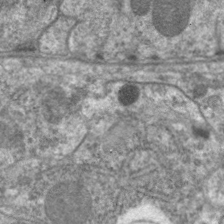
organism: C. elegans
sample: Pharynx